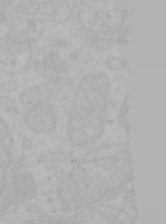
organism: Mouse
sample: Choroid plexus